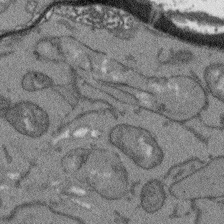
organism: Arabidopsis thaliana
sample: Root tip